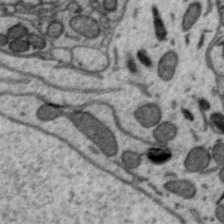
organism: Zebra finch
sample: Brain